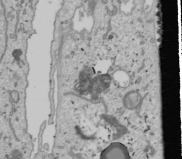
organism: Human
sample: Mitochondria in U2OS cells